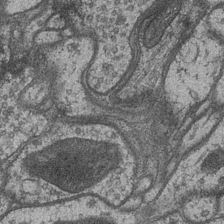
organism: Drosophila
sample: Optic medulla